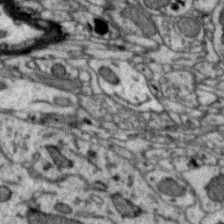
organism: Zebra finch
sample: Brain